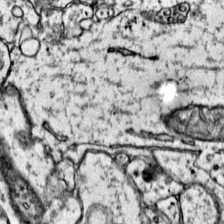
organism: Mouse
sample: Primary visual cortex